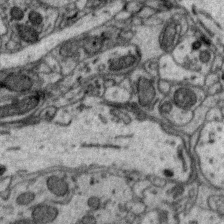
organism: Zebra finch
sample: Brain